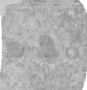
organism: Human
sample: Centriole in RPE cells